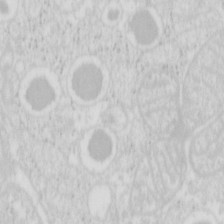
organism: Mouse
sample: Pancreas